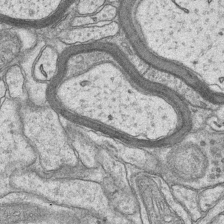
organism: Mouse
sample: CA1 Hippocampus